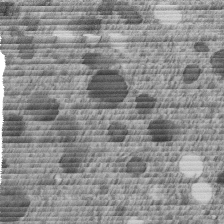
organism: C. elegans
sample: C. elegans embryo early stage